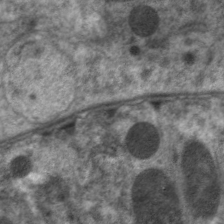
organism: C. elegans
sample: Pharynx